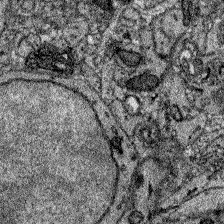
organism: Zebrafish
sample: Larval olfactory bulb